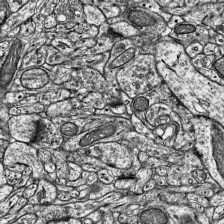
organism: Mouse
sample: Visual Cortex